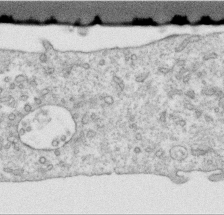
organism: Human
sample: Centriole in RPE cells